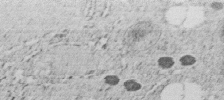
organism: C. elegans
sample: C. elegans embryo early stage